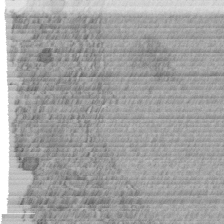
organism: C. elegans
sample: C. elegans embryo early stage